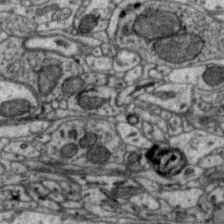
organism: Zebra finch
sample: Brain